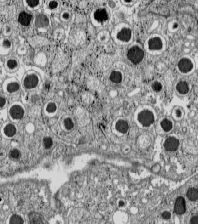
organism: C57BL Mouse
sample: Pancreatic islet